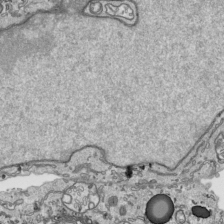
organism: Human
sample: Mitochondria in HCT116 cells